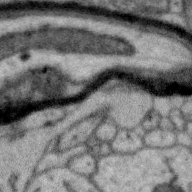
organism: Zebra finch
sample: Brain